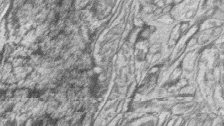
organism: Zebrafish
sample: synaptic ribbons in rod cells and cone cells